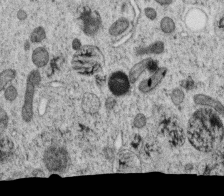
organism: C. elegans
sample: C. elegans oocyte; sperm cells